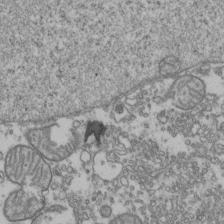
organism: Human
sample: Activated Jurkat CD4+ T cells